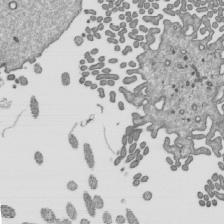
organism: Mouse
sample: Mouse epididymis efferent ductule cilia